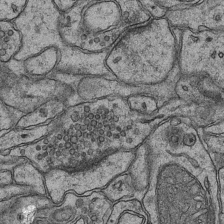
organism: Mouse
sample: CA1 Hippocampus